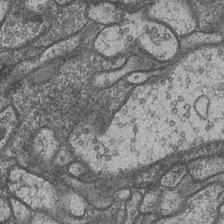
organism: Drosophila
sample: Optic medulla